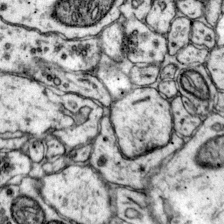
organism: Mouse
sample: Primary visual cortex